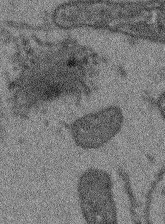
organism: Arabidopsis thaliana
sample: Root tip